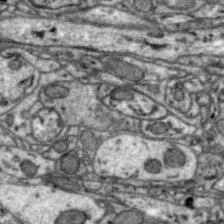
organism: Zebra finch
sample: Brain